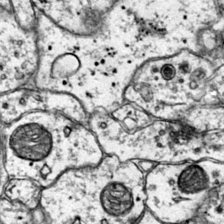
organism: Mouse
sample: Primary visual cortex